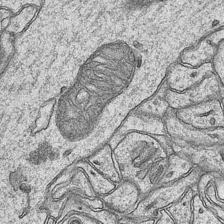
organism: Mouse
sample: CA1 Hippocampus